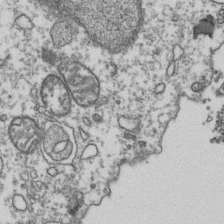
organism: Human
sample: Activated Jurkat CD4+ T cells